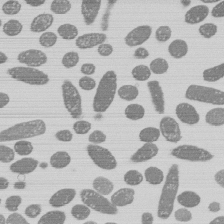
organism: E. coli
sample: Bacterial nucleoid